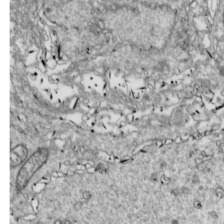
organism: Drosophila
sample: Cell division; meiosis; drosophila spermatocytes